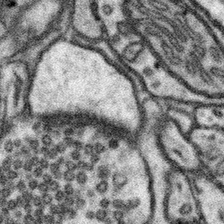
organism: Mouse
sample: Somatosensory cortex neuropil